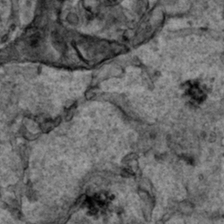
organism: Human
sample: Mitochondria in HCT116 cells